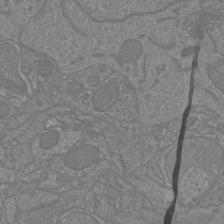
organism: Mouse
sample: Cortical neurons